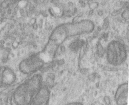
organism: Human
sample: Centriole in RPE cells